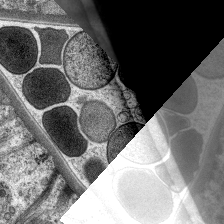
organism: C. elegans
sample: Pharynx